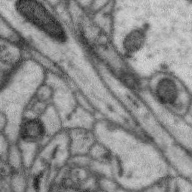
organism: Zebra finch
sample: Brain